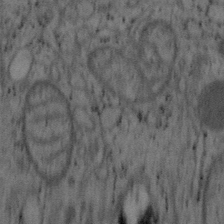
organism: Human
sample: HeLa cells